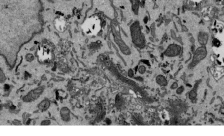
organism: Mouse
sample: ED-1 cell nuclei; centrioles